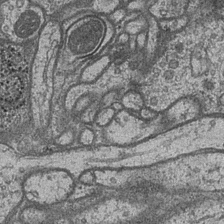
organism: Drosophila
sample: Optic medulla